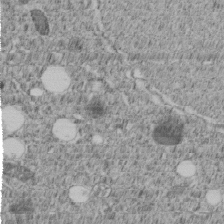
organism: C. elegans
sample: C. elegans embryo early stage